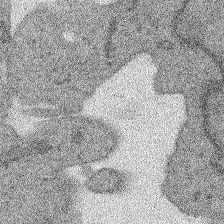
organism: Human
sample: HeLa cells